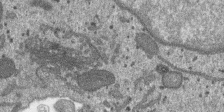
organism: Human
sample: Lung epithelial cells infected with SARS-CoV-2